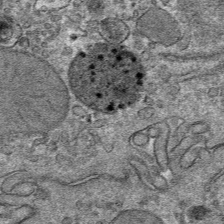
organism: Mouse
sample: Mouse hepatocytes